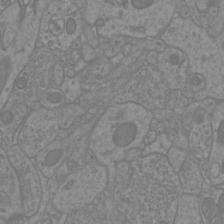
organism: Mouse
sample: Cortical neurons